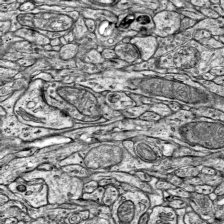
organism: Mouse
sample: Visual Cortex